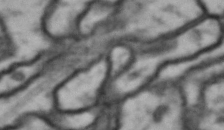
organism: Drosophila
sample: Brain